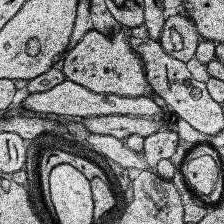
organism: Human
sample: Temporal Lobe